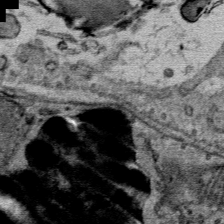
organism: Mouse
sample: Mouse Salivary gland